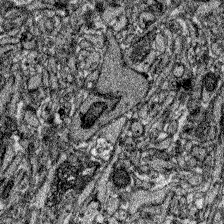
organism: Zebrafish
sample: Larval olfactory bulb